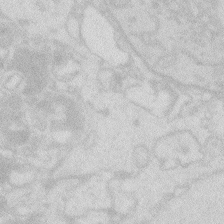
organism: Zebrafish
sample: Macrophage